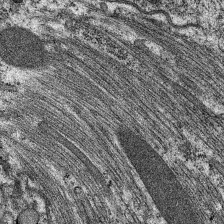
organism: C. elegans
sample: Pharynx